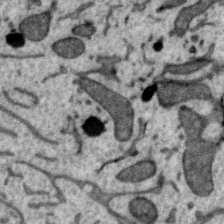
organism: Zebra finch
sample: Brain